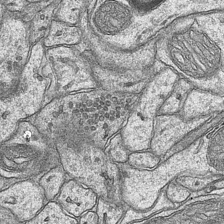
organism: Mouse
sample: CA1 Hippocampus